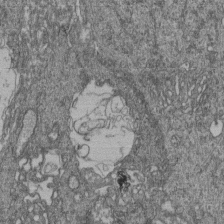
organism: Human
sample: Retinal organoid Rod and Cone cells